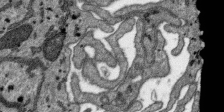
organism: Human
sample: Lung epithelial cells, uninfected (mock) control